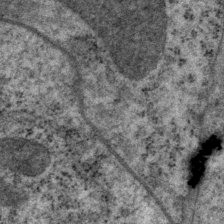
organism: P. pacificus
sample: Pharynx